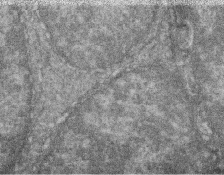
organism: Zebrafish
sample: Cilia; retinal pigment epithelium